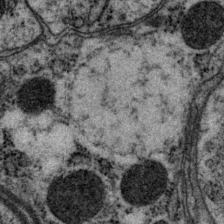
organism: P. pacificus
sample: Pharynx